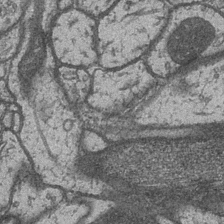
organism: Drosophila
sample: Optic medulla